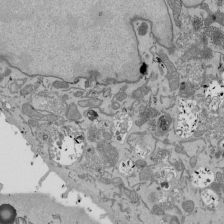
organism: Mouse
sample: ED-1 cell nuclei; centrioles